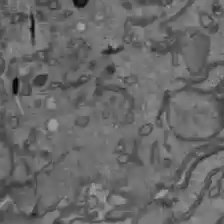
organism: C57BL Mouse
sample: Liver